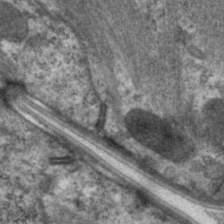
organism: C. elegans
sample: Pharynx